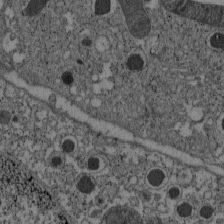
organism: C57BL Mouse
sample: Pancreatic islet